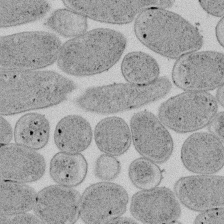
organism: E. coli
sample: Bacterial nucleoid